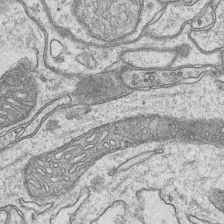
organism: Mouse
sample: CA1 Hippocampus